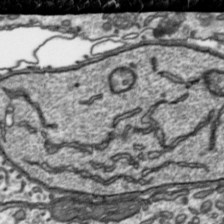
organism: Toxoplasma gondii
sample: Parasites in a vacuole inside a host cell